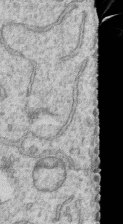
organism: Human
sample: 1205lu cells